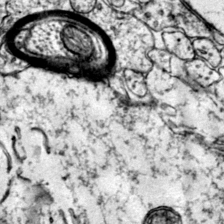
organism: Mouse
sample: Primary visual cortex